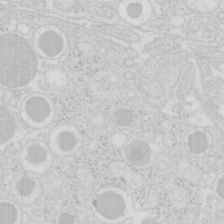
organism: Mouse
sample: Pancreas